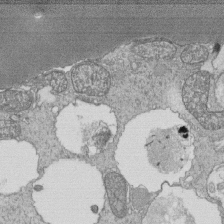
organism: Tetrahymena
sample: Cilia in tetrahymena